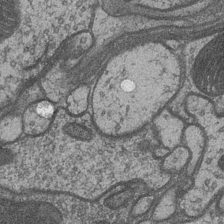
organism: Drosophila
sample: Optic medulla